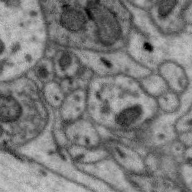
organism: Zebra finch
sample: Brain